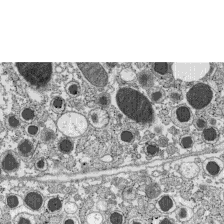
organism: C57BL Mouse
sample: Pancreatic islet